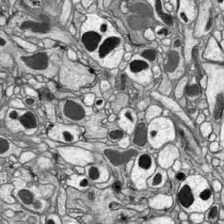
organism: Drosophila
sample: Optic lobe